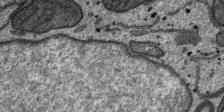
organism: Human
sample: Lung epithelial cells, uninfected (mock) control